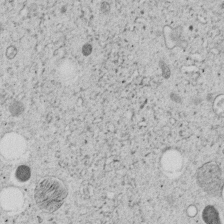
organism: C. elegans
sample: C. elegans embryo early stage